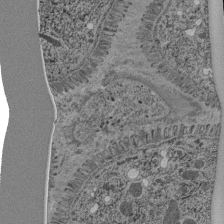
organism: C. elegans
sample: C. elegans pharynx